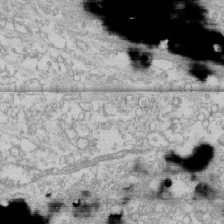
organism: Human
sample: CRL-1474